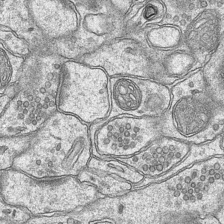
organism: Mouse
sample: CA1 Hippocampus